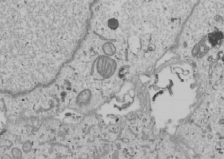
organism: Human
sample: Mitochondria in U2OS cells